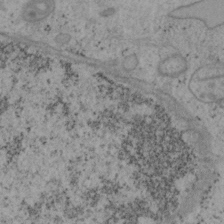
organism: Human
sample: HeLa cells